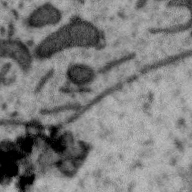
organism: Zebra finch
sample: Brain